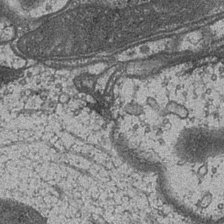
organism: Drosophila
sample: Optic medulla